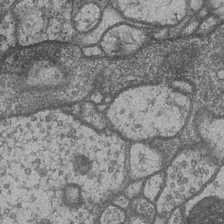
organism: Drosophila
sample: Optic medulla